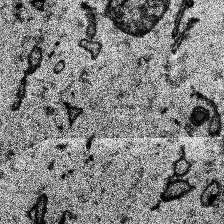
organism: Human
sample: Temporal Lobe